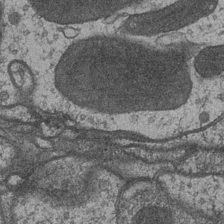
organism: Drosophila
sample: Optic medulla